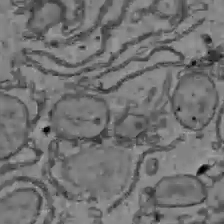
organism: C57BL Mouse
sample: Liver